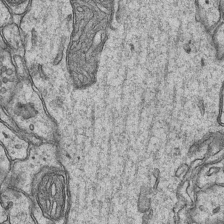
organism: Mouse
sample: CA1 Hippocampus